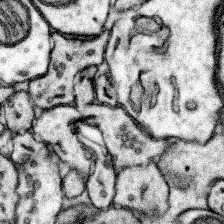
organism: Mouse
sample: Somatosensory cortex neuropil